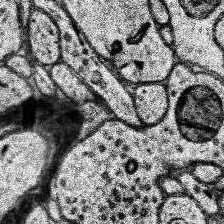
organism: Human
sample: Temporal Lobe